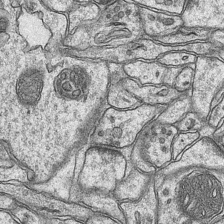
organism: Mouse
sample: CA1 Hippocampus